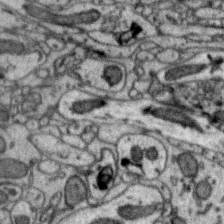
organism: Zebra finch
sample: Brain